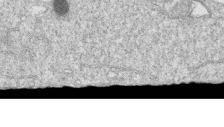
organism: Human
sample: HeLa cell HIV synapse